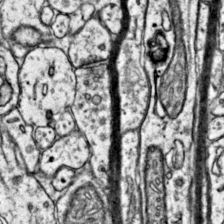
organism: Mouse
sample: Primary visual cortex